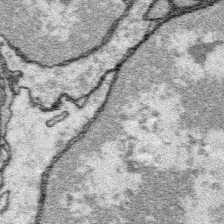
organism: Platynereis dumerilii